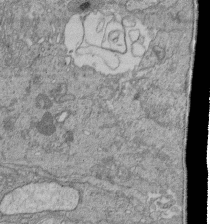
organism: Human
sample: Retinal organoid Rod and Cone cells